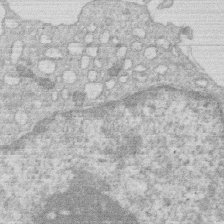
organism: Human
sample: Macrophage cells